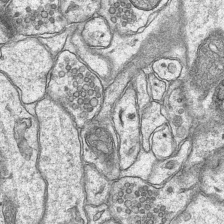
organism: Mouse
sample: CA1 Hippocampus